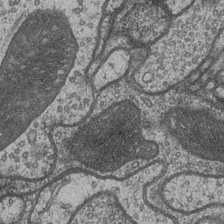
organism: Drosophila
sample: Optic medulla